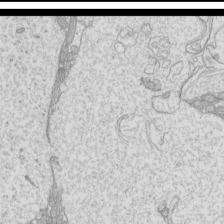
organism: Mouse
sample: Cilia; mouse epididymis